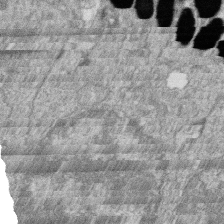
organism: Zebrafish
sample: Cilia; retinal pigment epithelium